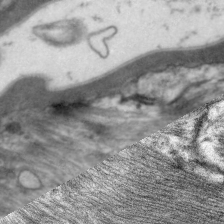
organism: C. elegans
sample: Pharynx